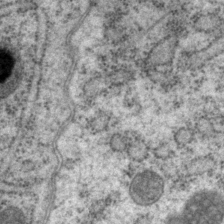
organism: P. pacificus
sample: Pharynx